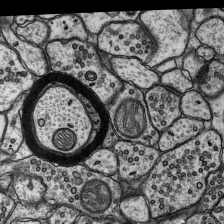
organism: Rat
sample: Hippocampus